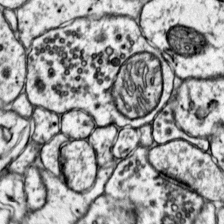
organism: Mouse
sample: Primary visual cortex